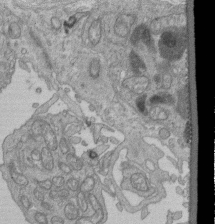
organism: Human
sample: Retinal organoid Rod and Cone cells